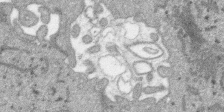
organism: Human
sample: Lung epithelial cells infected with SARS-CoV-2